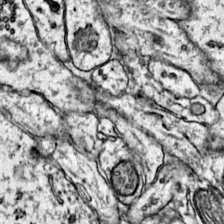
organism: Mouse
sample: Primary visual cortex